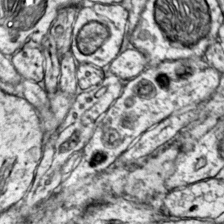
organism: Mouse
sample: Primary visual cortex